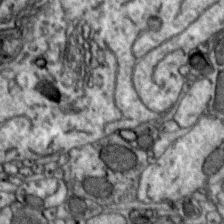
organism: Zebra finch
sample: Brain